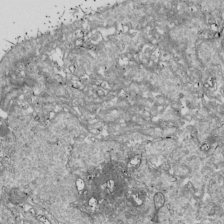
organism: Drosophila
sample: Cell division; meiosis; drosophila spermatocytes